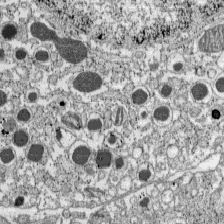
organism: C57BL Mouse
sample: Pancreatic islet